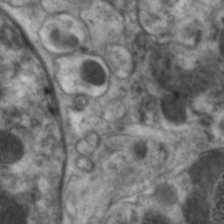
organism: C. elegans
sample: Pharynx